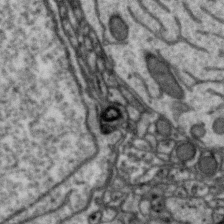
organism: Zebra finch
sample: Brain